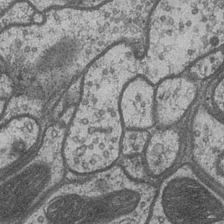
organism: Drosophila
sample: Optic medulla